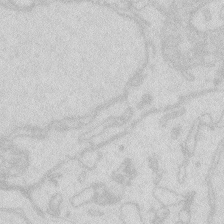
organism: Zebrafish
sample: Macrophage